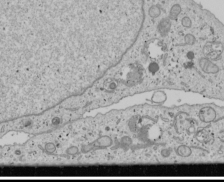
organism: Human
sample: Mitochondria in U2OS cells